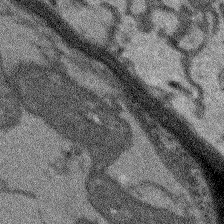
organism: Arabidopsis thaliana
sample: Root tip